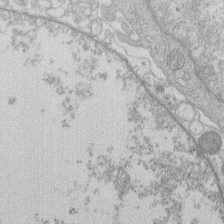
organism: Human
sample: Macrophage cells